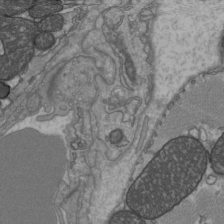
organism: C57BL Mouse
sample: Heart